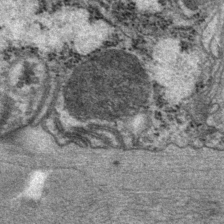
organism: P. pacificus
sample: Pharynx